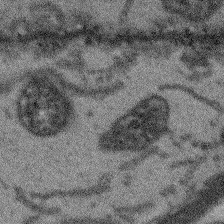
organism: Arabidopsis thaliana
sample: Root tip